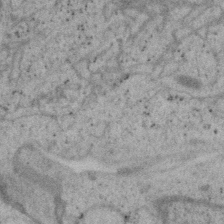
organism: Human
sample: HeLa cells